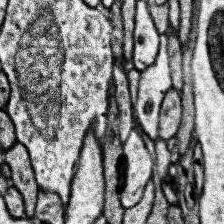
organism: Human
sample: Temporal Lobe